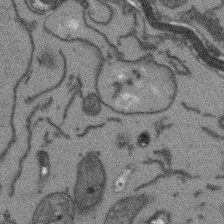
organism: Arabidopsis thaliana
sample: Root tip